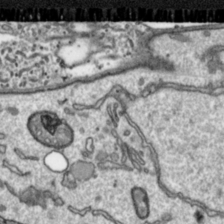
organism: Toxoplasma gondii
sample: Parasites in a vacuole inside a host cell